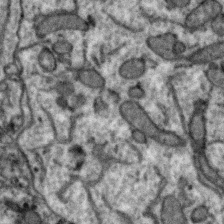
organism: Zebra finch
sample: Brain